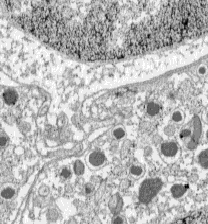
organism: C57BL Mouse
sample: Pancreatic islet